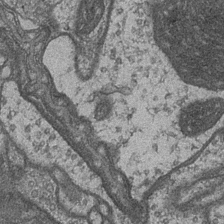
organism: Drosophila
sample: Optic medulla